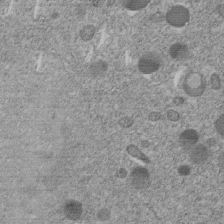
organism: C. elegans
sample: C. elegans embryo early stage